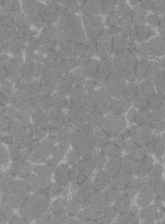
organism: C57BL Mouse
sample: Tibialis anterior muscle cell